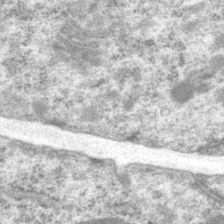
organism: P. pacificus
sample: Pharynx